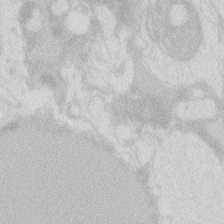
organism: Zebrafish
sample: Macrophage